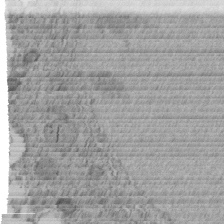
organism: C. elegans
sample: C. elegans embryo early stage